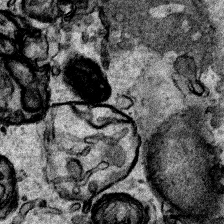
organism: Human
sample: Mitochondria in HCT116 cells